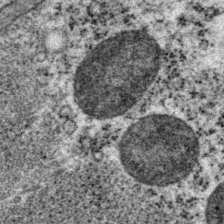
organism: P. pacificus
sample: Pharynx